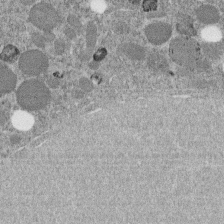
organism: C. elegans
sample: C. elegans embryo early stage